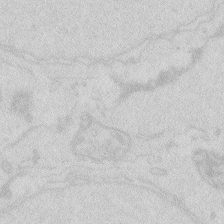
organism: Zebrafish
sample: Macrophage